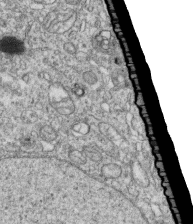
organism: Human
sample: HeLa cell HIV synapse